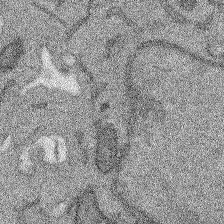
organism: Human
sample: HeLa cells